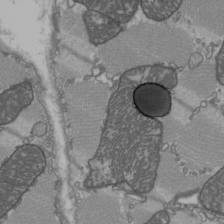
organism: C57BL Mouse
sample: Heart